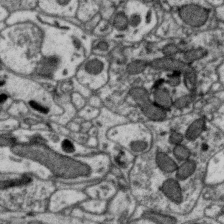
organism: Zebra finch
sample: Brain